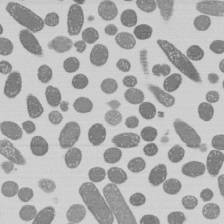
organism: E. coli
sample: Bacterial nucleoid